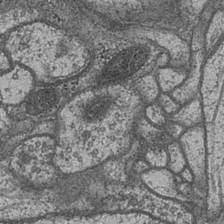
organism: Drosophila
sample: Optic medulla